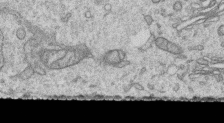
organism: Human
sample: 1205lu cells